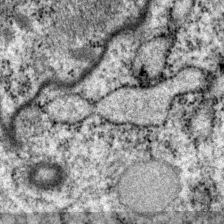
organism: P. pacificus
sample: Pharynx